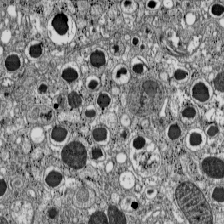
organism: C57BL Mouse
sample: Pancreatic islet